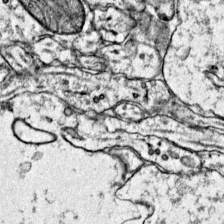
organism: Mouse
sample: Primary visual cortex